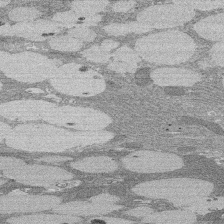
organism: Rat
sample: Salivary granule